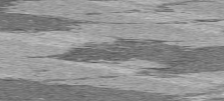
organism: C57BL Mouse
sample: Heart